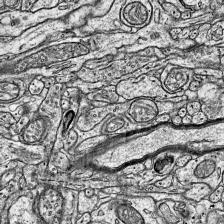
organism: Mouse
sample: Visual Cortex